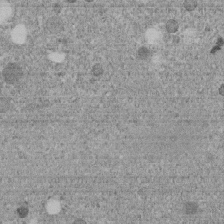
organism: C. elegans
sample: C. elegans embryo early stage